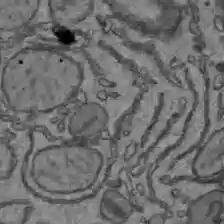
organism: C57BL Mouse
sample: Liver